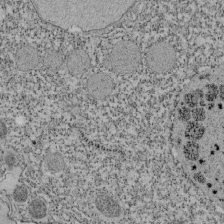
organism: Tetrahymena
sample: Cilia in tetrahymena